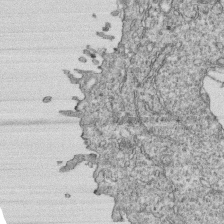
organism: Human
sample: HeLa cell HIV synapse